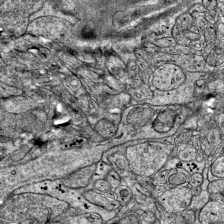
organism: Mouse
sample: Visual Cortex